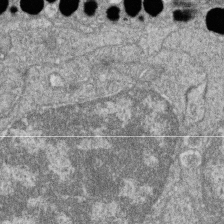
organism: Zebrafish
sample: Cilia; retinal pigment epithelium